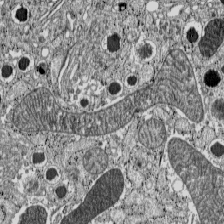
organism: C57BL Mouse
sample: Pancreatic islet